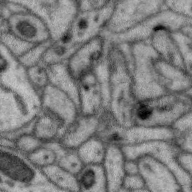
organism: Zebra finch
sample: Brain